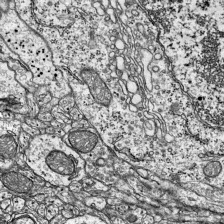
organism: Mouse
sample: Visual Cortex